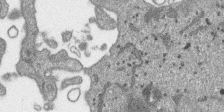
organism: Human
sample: Lung epithelial cells infected with SARS-CoV-2